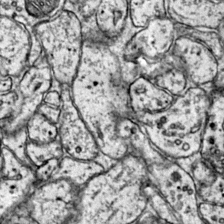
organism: Mouse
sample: Primary visual cortex